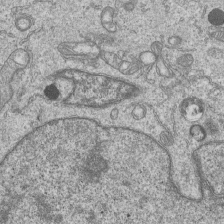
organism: Human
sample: MDA-MB-231 cells